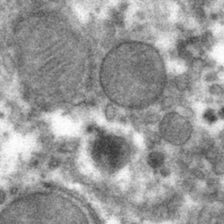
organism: Mouse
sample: Mouse hepatocytes